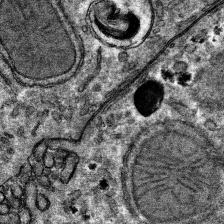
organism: Mouse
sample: Mouse hepatocytes